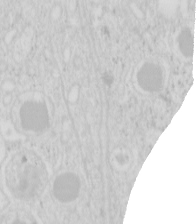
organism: Mouse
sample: Pancreas